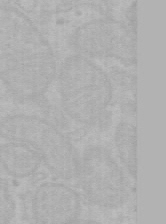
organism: Mouse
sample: Choroid plexus